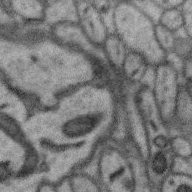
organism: Zebra finch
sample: Brain